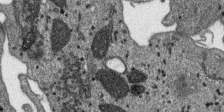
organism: Human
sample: Lung epithelial cells infected with SARS-CoV-2